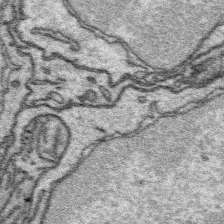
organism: Platynereis dumerilii